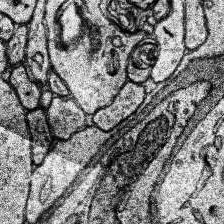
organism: Human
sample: Temporal Lobe